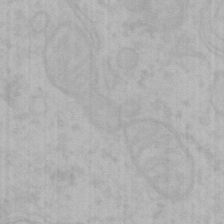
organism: Mouse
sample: Choroid plexus